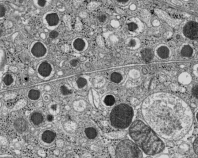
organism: C57BL Mouse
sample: Pancreatic islet